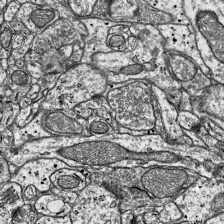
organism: Mouse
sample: Visual Cortex